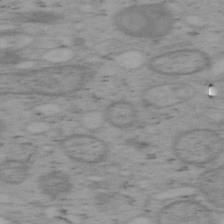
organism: Mouse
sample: OT-I killer T cells with ID8 ovarian cancer cells